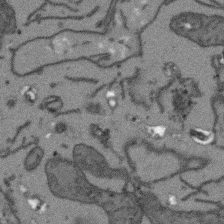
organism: Arabidopsis thaliana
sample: Root tip